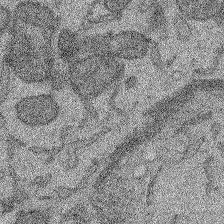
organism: Human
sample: HeLa cells